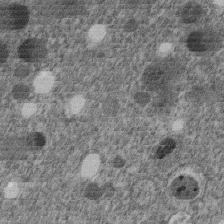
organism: C. elegans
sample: C. elegans embryo early stage